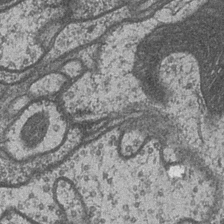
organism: Drosophila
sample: Optic medulla